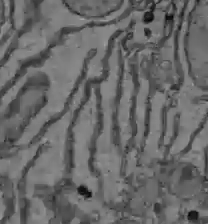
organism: C57BL Mouse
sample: Liver